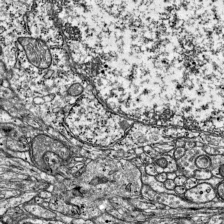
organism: Mouse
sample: Visual Cortex